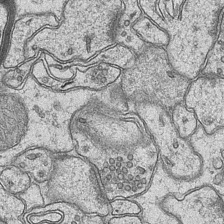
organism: Mouse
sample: CA1 Hippocampus